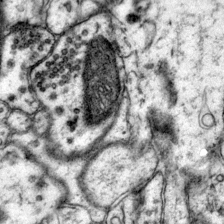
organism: Mouse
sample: Primary visual cortex